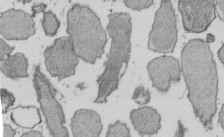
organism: E. coli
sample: Bacterial nucleoid